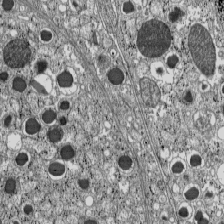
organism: C57BL Mouse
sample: Pancreatic islet